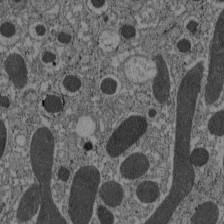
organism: C57BL Mouse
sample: Pancreatic islet